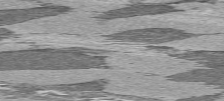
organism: C57BL Mouse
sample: Heart